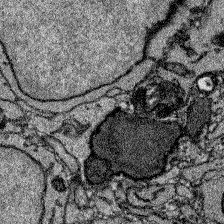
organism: Zebrafish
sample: Larval olfactory bulb